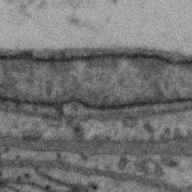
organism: Zebra finch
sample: Brain